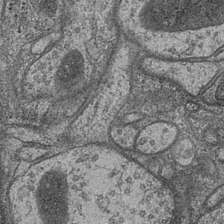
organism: Drosophila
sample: Optic medulla